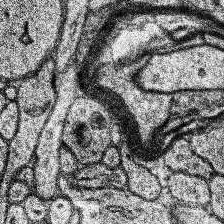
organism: Human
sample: Temporal Lobe